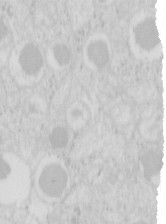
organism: Mouse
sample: Pancreas